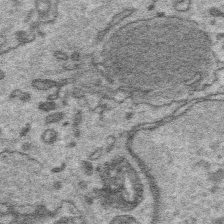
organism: Platynereis dumerilii